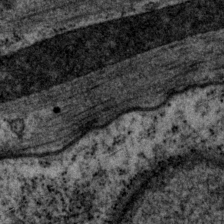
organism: P. pacificus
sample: Pharynx